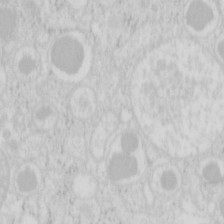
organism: Mouse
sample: Pancreas